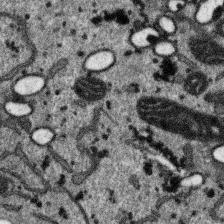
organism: Human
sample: Lung epithelial cells infected with SARS-CoV-2